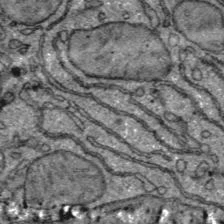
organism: C57BL Mouse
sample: Liver